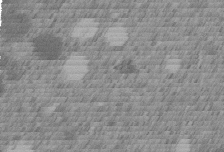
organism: C. elegans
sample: C. elegans embryo early stage